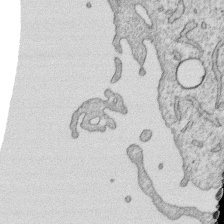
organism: Human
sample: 1205lu cells